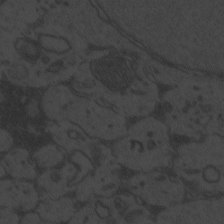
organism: Zebrafish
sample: Macrophage infected with Toxoplasma gondii